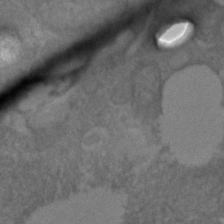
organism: C. elegans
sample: C. elegans embryo